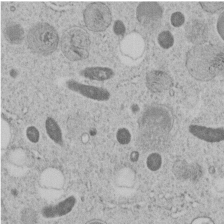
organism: C. elegans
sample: C. elegans embryo early stage